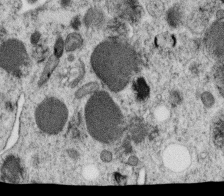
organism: C. elegans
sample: C. elegans oocyte; sperm cells